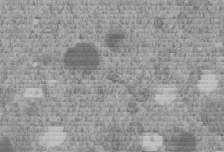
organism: C. elegans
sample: C. elegans embryo early stage